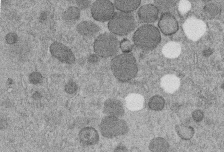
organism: C. elegans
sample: C. elegans embryo early stage